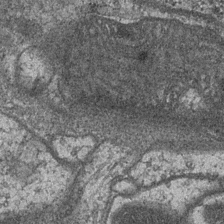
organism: Drosophila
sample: Optic medulla